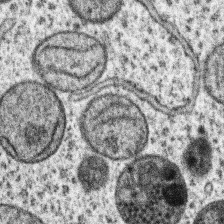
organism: Human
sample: HeLa cells